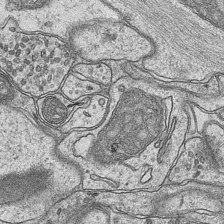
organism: Mouse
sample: CA1 Hippocampus